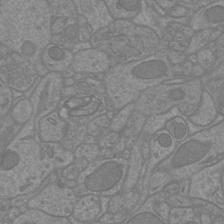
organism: Mouse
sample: Cortical neurons